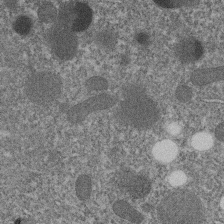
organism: C. elegans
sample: C. elegans embryo early stage